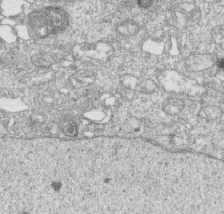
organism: Human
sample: HeLa cell HIV synapse